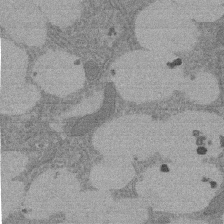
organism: Rat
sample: Salivary granule